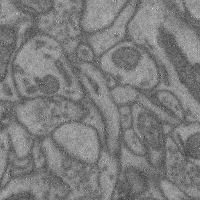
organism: Mouse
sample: Cerebral cortex